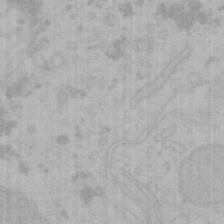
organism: Mouse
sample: Choroid plexus